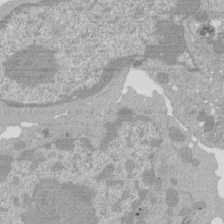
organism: Mouse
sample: Activated Pmel transgenic CD8+ T Cells